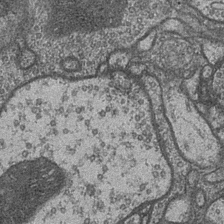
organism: Drosophila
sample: Optic medulla